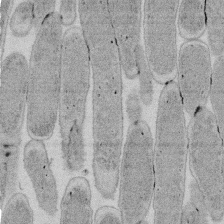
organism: E. coli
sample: Bacterial nucleoid